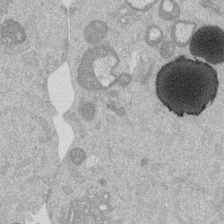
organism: Mouse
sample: Dividing mouse embryo 1 cell stage